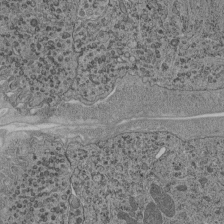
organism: C. elegans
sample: C. elegans pharynx